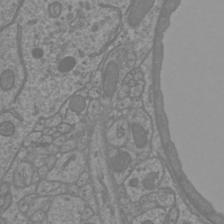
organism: Mouse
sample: Cortical neurons